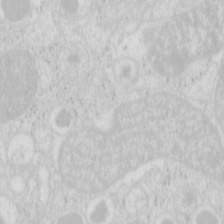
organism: Mouse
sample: Pancreas